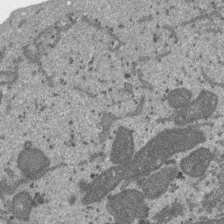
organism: Human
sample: Lung epithelial cells infected with SARS-CoV-2